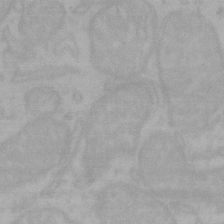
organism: Mouse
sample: Choroid plexus